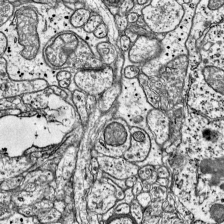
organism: Mouse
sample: Visual Cortex